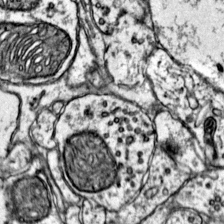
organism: Mouse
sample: Primary visual cortex